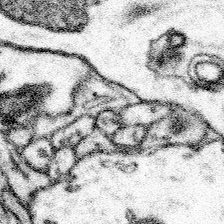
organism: Mouse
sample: Somatosensory cortex neuropil